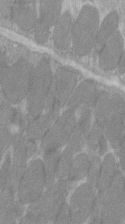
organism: C57BL Mouse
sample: Tibialis anterior muscle cell